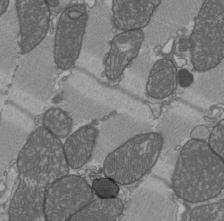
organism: C57BL Mouse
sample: Heart